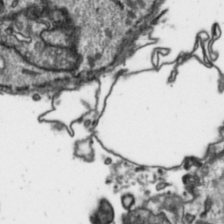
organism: Toxoplasma gondii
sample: Parasites in a vacuole inside a host cell